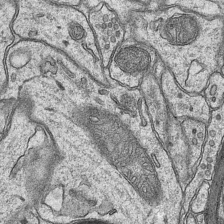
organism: Mouse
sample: CA1 Hippocampus